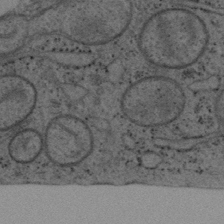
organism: Human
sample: HeLa cells